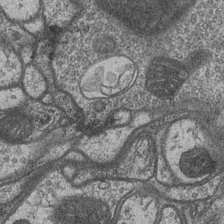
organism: Drosophila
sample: Optic medulla